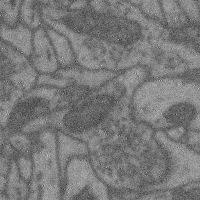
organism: Mouse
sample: Cerebral cortex